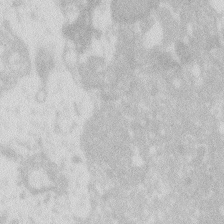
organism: Zebrafish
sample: Macrophage